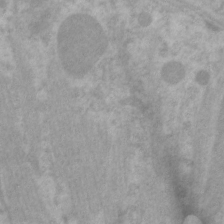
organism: C. elegans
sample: Pharynx